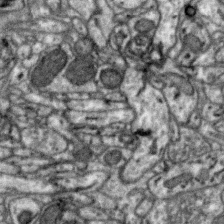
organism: Zebra finch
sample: Brain